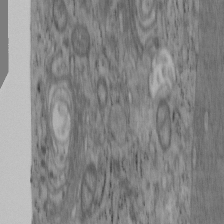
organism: Human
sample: HeLa cells